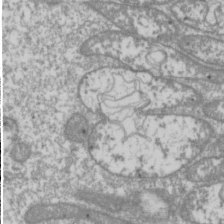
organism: Drosophila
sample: Cell division; meiosis; drosophila spermatocytes